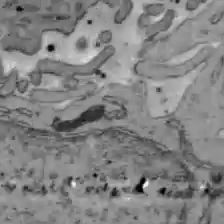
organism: C57BL Mouse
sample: Liver